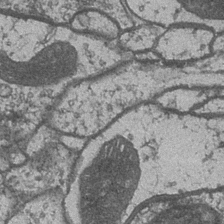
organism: Drosophila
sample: Optic medulla